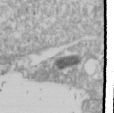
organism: Drosophila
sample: Cell division; meiosis; drosophila spermatocytes